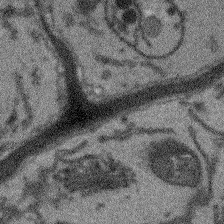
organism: Arabidopsis thaliana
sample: Root tip